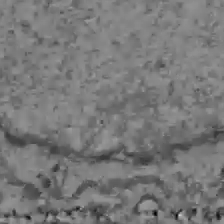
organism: C57BL Mouse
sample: Liver